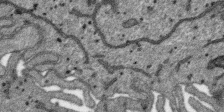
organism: Human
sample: Lung epithelial cells, uninfected (mock) control